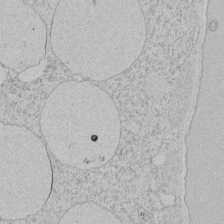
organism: Tetrahymena